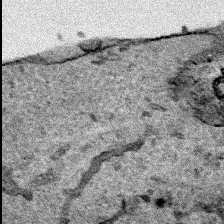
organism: Human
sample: Mitochondria in HCT116 cells